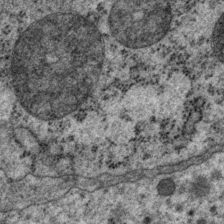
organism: P. pacificus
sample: Pharynx